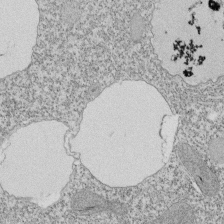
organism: Tetrahymena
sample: Cilia in tetrahymena